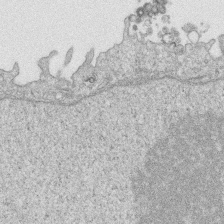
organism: Human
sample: HeLa cell HIV synapse